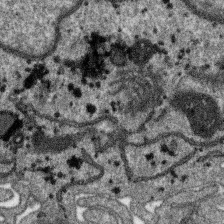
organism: Human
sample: Lung epithelial cells infected with SARS-CoV-2